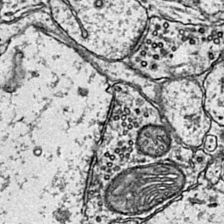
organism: Mouse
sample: Primary visual cortex